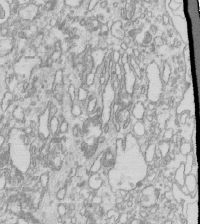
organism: Mouse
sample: Macrophages